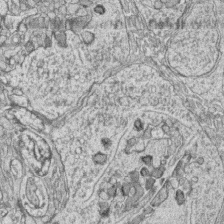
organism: Zebrafish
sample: synaptic ribbons in rod cells and cone cells